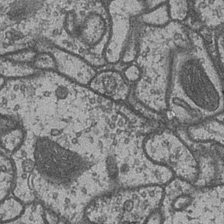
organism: Drosophila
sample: Optic medulla